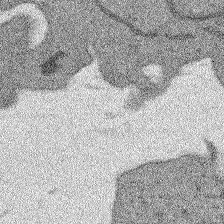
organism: Human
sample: HeLa cells